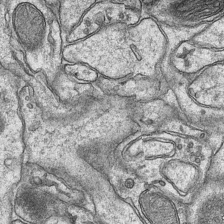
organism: Mouse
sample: CA1 Hippocampus